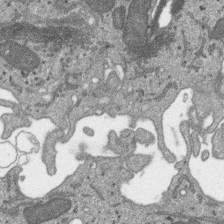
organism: Human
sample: Lung epithelial cells infected with SARS-CoV-2